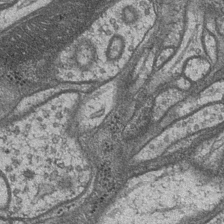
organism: Drosophila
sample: Optic medulla